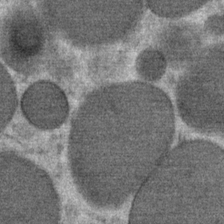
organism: Mouse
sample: Mouse Salivary gland